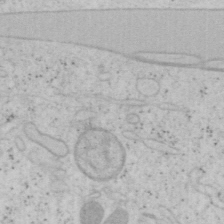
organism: Human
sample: HeLa cells